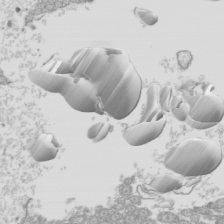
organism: Mouse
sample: Cilia; mouse epididymis